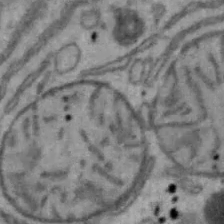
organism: Mouse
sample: Liver